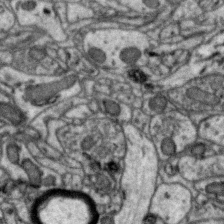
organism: Zebra finch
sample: Brain